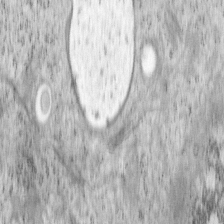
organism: Human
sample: HeLa cells